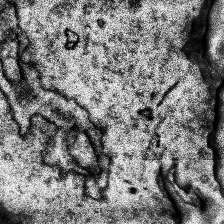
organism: Human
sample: Temporal Lobe